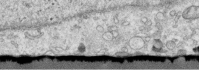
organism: Human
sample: Centriole in RPE cells